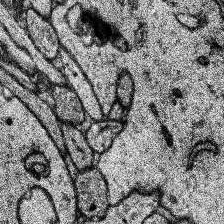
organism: Human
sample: Temporal Lobe